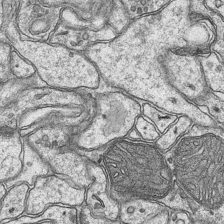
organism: Mouse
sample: CA1 Hippocampus